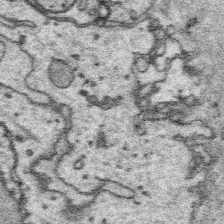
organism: Platynereis dumerilii